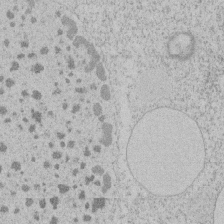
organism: Tetrahymena